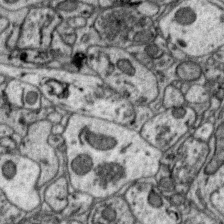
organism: Zebra finch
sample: Brain